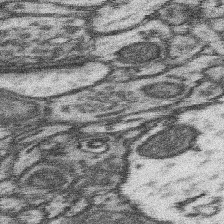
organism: Mouse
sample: Somatosensory cortex neuropil